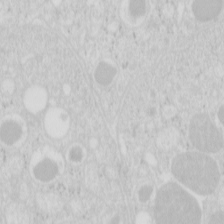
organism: Mouse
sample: Pancreas